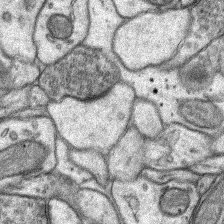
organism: Rat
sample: Hippocampus